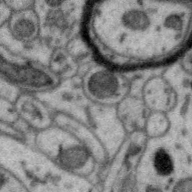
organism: Zebra finch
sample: Brain